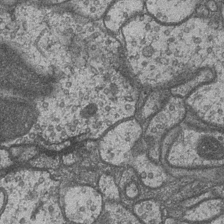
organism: Drosophila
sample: Optic medulla